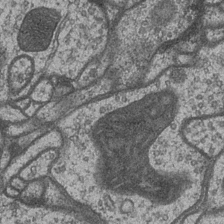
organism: Drosophila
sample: Optic medulla